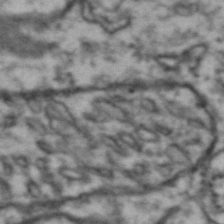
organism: Drosophila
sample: Brain